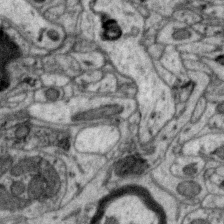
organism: Zebra finch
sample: Brain